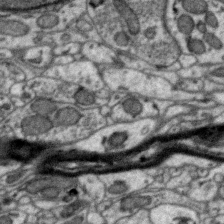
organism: Zebra finch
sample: Brain